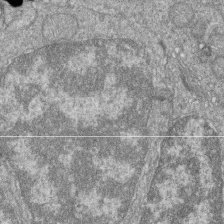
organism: Zebrafish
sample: Cilia; retinal pigment epithelium